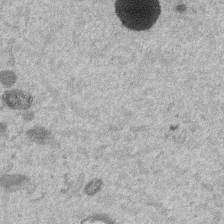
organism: Mouse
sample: Dividing mouse embryo 1 cell stage